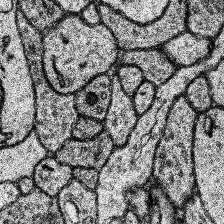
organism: Human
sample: Temporal Lobe